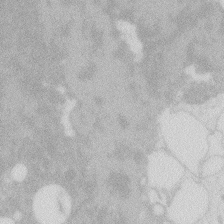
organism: Zebrafish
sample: Macrophage